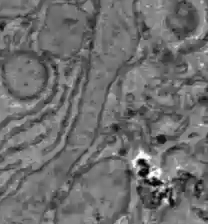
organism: C57BL Mouse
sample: Liver